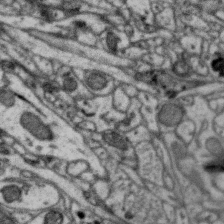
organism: Zebra finch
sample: Brain